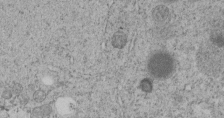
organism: C. elegans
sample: C. elegans embryo early stage